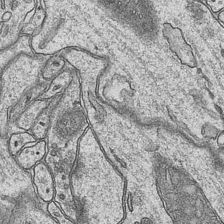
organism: Mouse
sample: CA1 Hippocampus